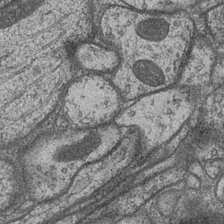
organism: Drosophila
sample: Optic medulla